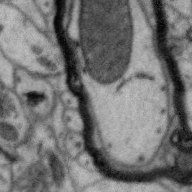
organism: Zebra finch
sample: Brain